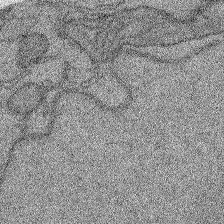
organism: Human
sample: HeLa cells